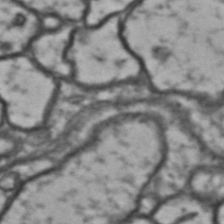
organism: Drosophila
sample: Brain